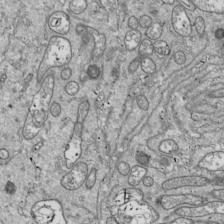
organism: Drosophila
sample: Cell division; meiosis; drosophila spermatocytes